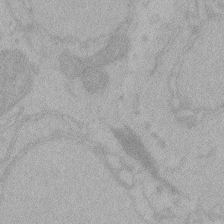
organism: Zebrafish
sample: Macrophage infected with Toxoplasma gondii